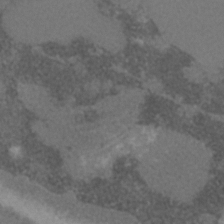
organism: C. elegans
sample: C. elegans embryo